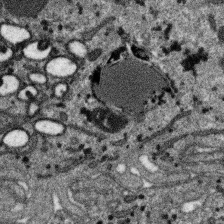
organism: Human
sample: Lung epithelial cells infected with SARS-CoV-2